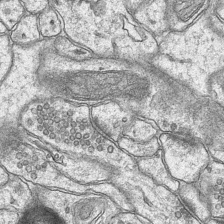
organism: Mouse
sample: CA1 Hippocampus